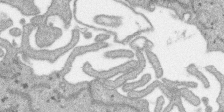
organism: Human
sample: Lung epithelial cells infected with SARS-CoV-2